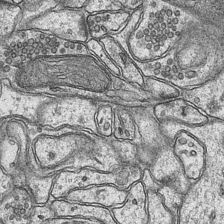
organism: Mouse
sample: CA1 Hippocampus